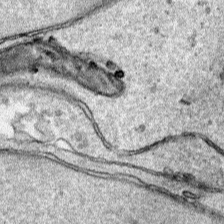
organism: Human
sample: Mitochondria in HCT116 cells